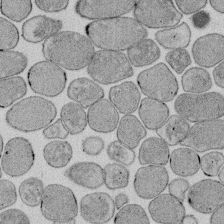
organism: E. coli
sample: Bacterial nucleoid